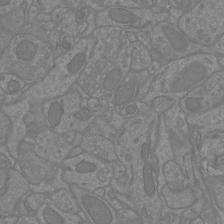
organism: Mouse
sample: Cortical neurons